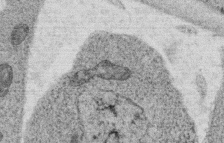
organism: C. elegans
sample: C. elegans oocyte; sperm cells